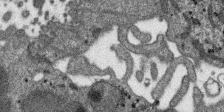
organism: Human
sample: Lung epithelial cells infected with SARS-CoV-2